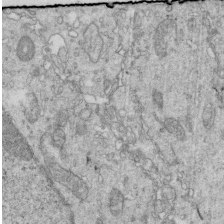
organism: Mouse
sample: Multiciliated cells